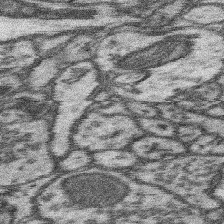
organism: Mouse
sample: Somatosensory cortex neuropil